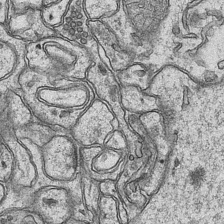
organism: Mouse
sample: CA1 Hippocampus